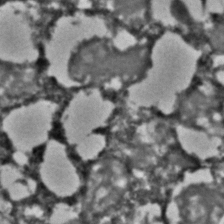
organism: C. elegans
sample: C. elegans embryo